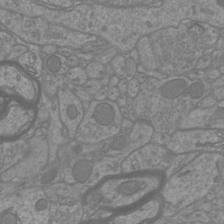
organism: Mouse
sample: Cortical neurons